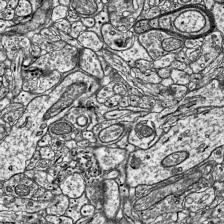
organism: Mouse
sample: Visual Cortex